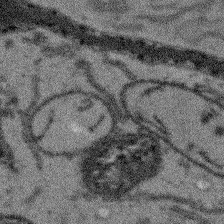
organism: Arabidopsis thaliana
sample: Root tip